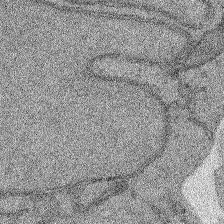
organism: Human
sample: HeLa cells